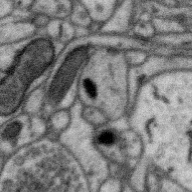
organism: Zebra finch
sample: Brain